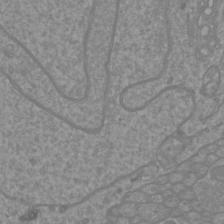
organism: Mouse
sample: Cortical neurons